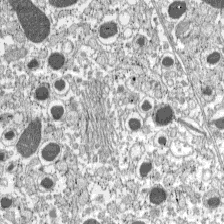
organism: C57BL Mouse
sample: Pancreatic islet